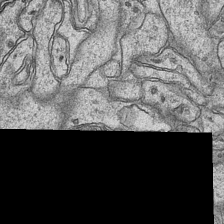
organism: Mouse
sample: CA1 Hippocampus